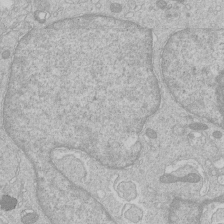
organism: Human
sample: Macrophage cells